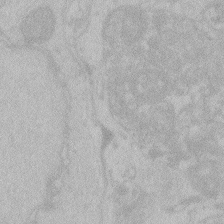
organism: Zebrafish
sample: Macrophage infected with Toxoplasma gondii